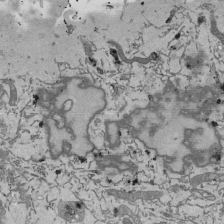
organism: Mouse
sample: ED-1 cell nuclei; centrioles